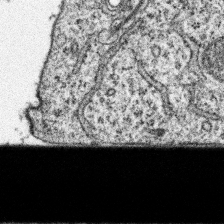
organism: Human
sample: HeLa cells